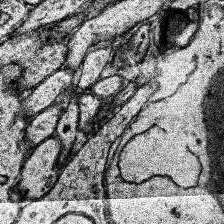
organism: Human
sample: Temporal Lobe